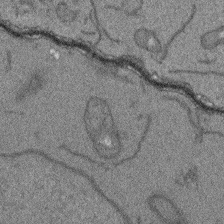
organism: Arabidopsis thaliana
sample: Root tip